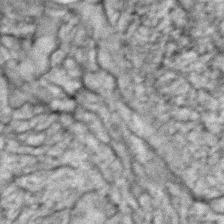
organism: Zebrafish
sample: Zebrafish embryo